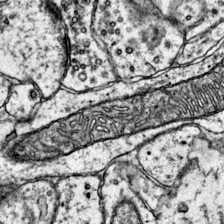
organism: Mouse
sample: Primary visual cortex